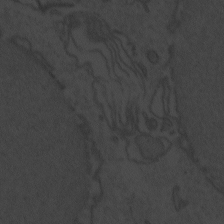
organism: Zebrafish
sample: Macrophage infected with Toxoplasma gondii